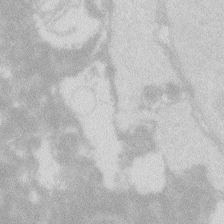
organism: Zebrafish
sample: Macrophage